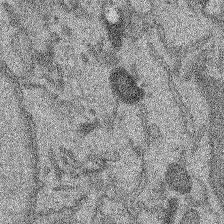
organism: Human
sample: HeLa cells